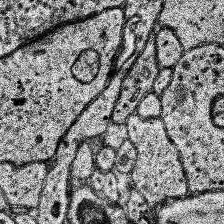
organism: Human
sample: Temporal Lobe